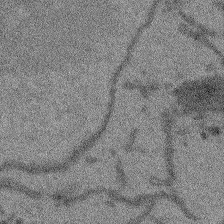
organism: Arabidopsis thaliana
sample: Root tip